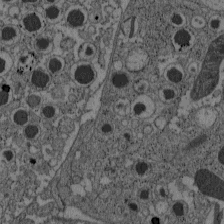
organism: C57BL Mouse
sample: Pancreatic islet